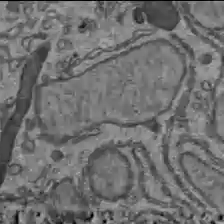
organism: C57BL Mouse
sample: Liver